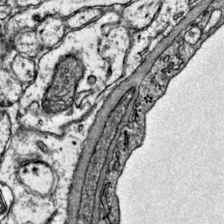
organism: Mouse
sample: Primary visual cortex